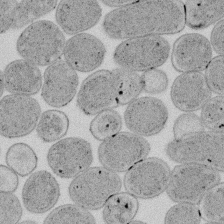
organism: E. coli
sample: Bacterial nucleoid